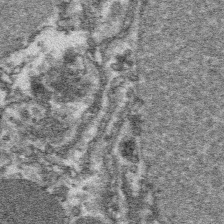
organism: Platynereis dumerilii